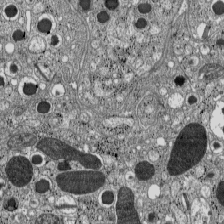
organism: C57BL Mouse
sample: Pancreatic islet